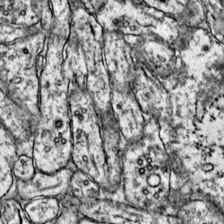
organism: Mouse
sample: Primary visual cortex